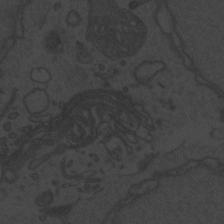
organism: Zebrafish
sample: Macrophage infected with Toxoplasma gondii